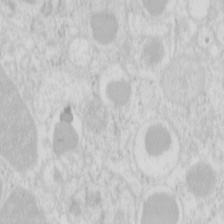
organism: Mouse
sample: Pancreas